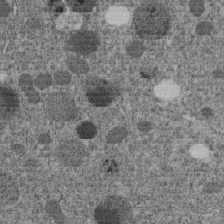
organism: C. elegans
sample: C. elegans embryo early stage